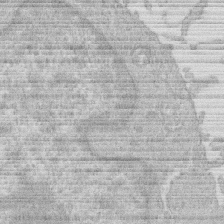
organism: Human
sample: Macrophage cells